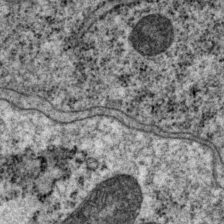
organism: P. pacificus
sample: Pharynx